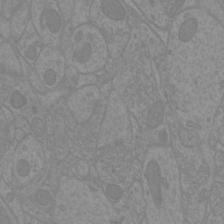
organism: Mouse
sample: Cortical neurons